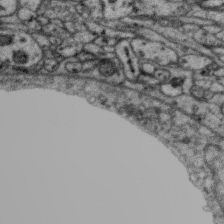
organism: Zebra finch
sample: Brain